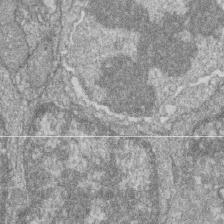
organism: Zebrafish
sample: Cilia; retinal pigment epithelium